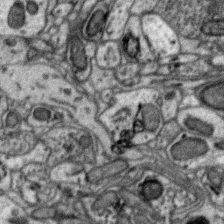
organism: Zebra finch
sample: Brain